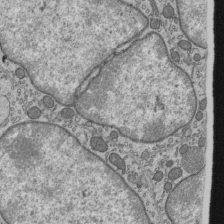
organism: Mouse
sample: Mouse epididymis efferent ductule cilia